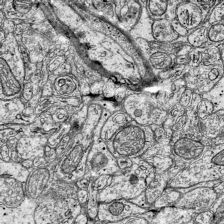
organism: Mouse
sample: Visual Cortex